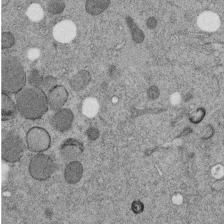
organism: C. elegans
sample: C. elegans embryo early stage